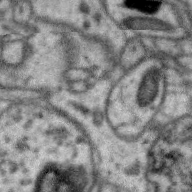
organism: Zebra finch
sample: Brain